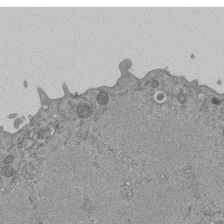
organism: Mouse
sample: ED-1 cell nuclei; centrioles